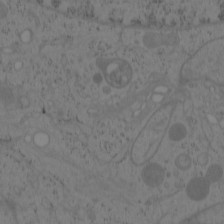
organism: Human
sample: HeLa cells